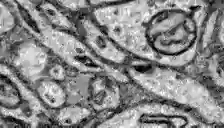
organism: Zebrafish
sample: Brain